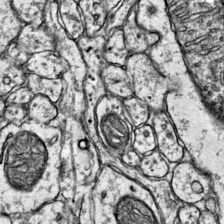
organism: Mouse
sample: Primary visual cortex